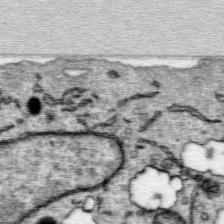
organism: Human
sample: HeLa cells